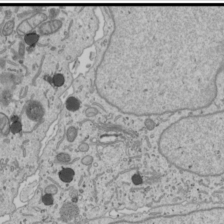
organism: Human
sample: Mitochondria in U2OS cells